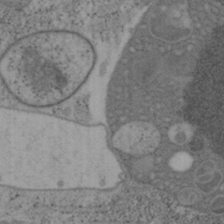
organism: Mouse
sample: OT-I killer T cells with ID8 ovarian cancer cells